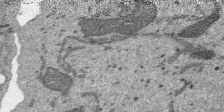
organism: Human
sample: Lung epithelial cells infected with SARS-CoV-2